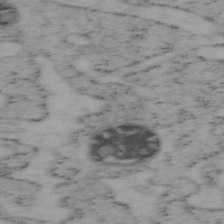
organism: Mouse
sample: OT-I killer T cells with ID8 ovarian cancer cells